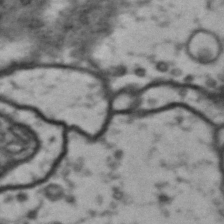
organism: Drosophila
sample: Brain